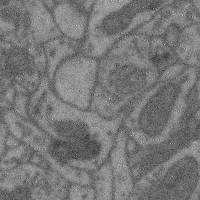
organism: Mouse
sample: Cerebral cortex